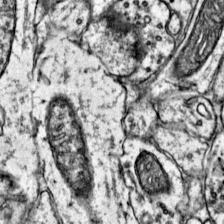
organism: Mouse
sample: Primary visual cortex